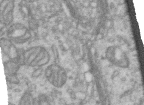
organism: Human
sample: Centriole in RPE cells